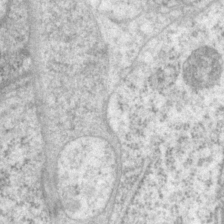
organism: P. pacificus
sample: Pharynx